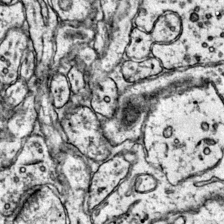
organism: Mouse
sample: Primary visual cortex